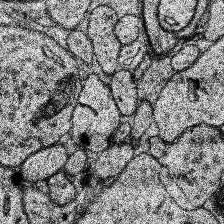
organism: Human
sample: Temporal Lobe